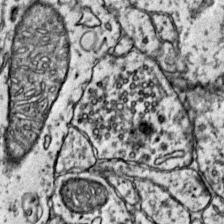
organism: Mouse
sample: Primary visual cortex